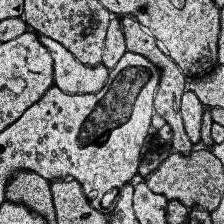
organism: Human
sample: Temporal Lobe